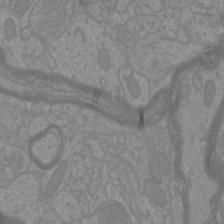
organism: Mouse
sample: Cortical neurons